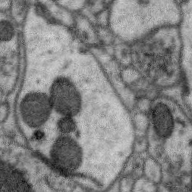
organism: Zebra finch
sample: Brain